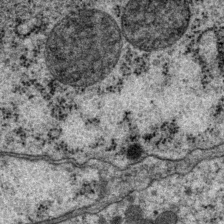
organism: P. pacificus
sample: Pharynx